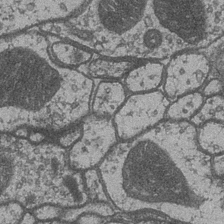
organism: Drosophila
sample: Optic medulla